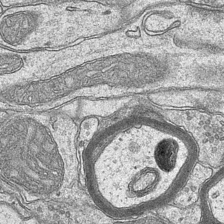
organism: Mouse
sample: CA1 Hippocampus